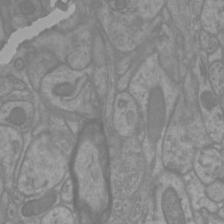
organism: Mouse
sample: Cortical neurons